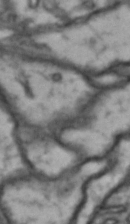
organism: Drosophila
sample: Brain